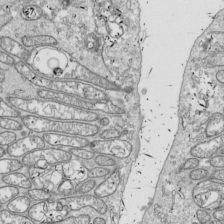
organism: Drosophila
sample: Cell division; meiosis; drosophila spermatocytes